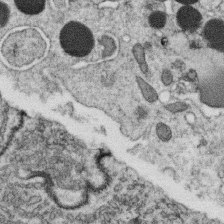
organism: C. elegans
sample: C. elegans oocyte; sperm cells